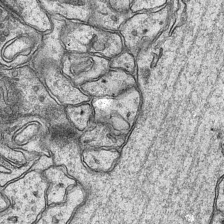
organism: Mouse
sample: CA1 Hippocampus